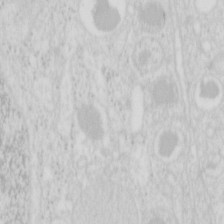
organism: Mouse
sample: Pancreas